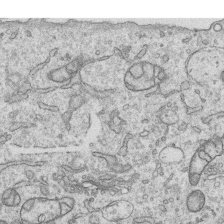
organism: Human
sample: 1205lu cells